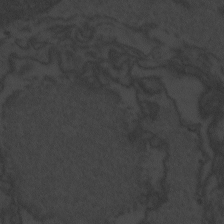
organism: Zebrafish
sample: Macrophage infected with Toxoplasma gondii